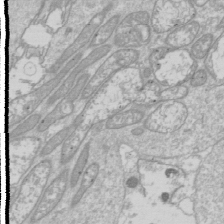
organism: Drosophila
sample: Cell division; meiosis; drosophila spermatocytes